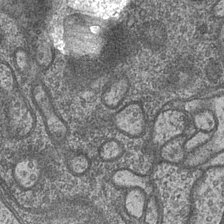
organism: Drosophila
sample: Optic medulla